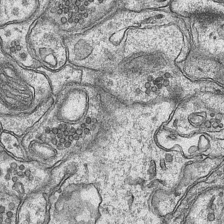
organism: Mouse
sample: CA1 Hippocampus